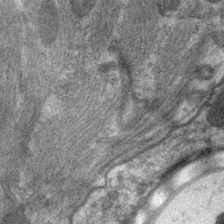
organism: C. elegans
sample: Pharynx